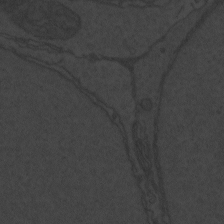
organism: Zebrafish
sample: Macrophage infected with Toxoplasma gondii